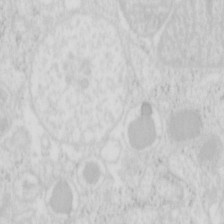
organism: Mouse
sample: Pancreas